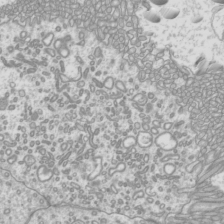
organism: Mouse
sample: Cilia; mouse epididymis